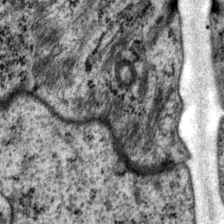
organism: P. pacificus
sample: Pharynx